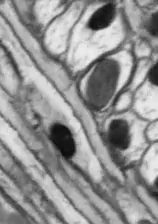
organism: Drosophila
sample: Optic lobe